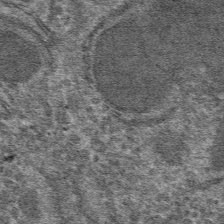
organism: Mouse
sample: Mouse hepatocytes